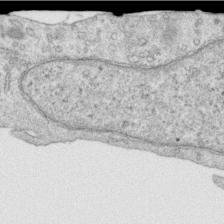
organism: Human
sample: Centriole in RPE cells